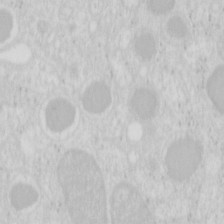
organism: Mouse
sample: Pancreas